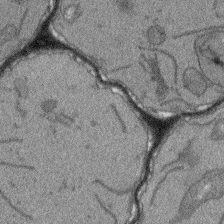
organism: Arabidopsis thaliana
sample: Root tip